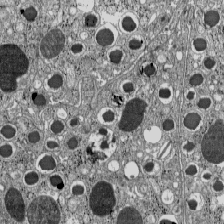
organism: C57BL Mouse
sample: Pancreatic islet